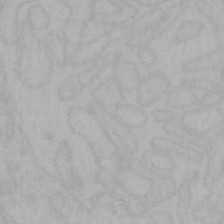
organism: Mouse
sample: Choroid plexus